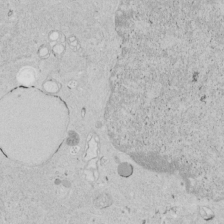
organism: Human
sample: Mitochondria in HCT116 cells